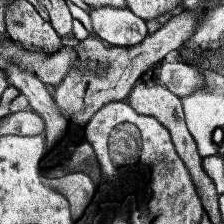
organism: Human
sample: Temporal Lobe